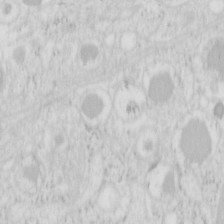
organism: Mouse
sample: Pancreas